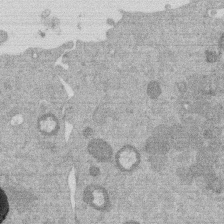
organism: Mouse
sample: Dividing mouse embryo 1 cell stage